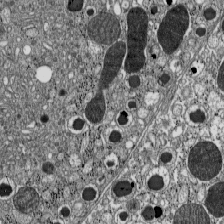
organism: C57BL Mouse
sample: Pancreatic islet